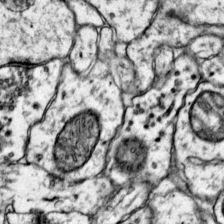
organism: Mouse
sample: Primary visual cortex